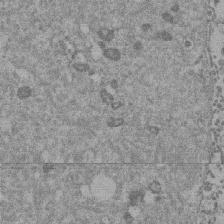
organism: Mouse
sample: Dividing mouse embryo 1 cell stage